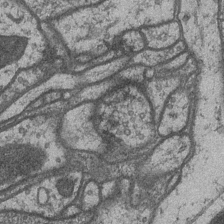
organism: Drosophila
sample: Optic medulla